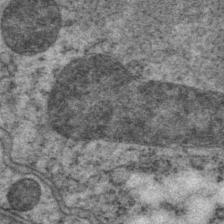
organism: P. pacificus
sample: Pharynx